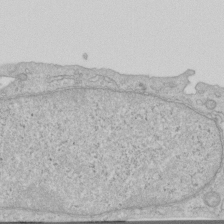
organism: Human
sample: Centriole in RPE cells